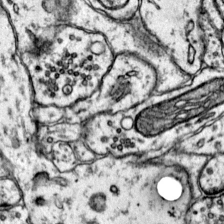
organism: Mouse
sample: Primary visual cortex